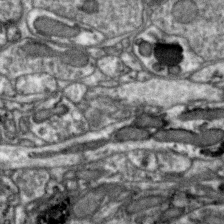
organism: Zebra finch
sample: Brain